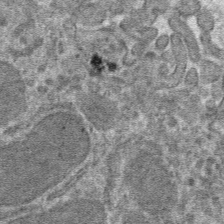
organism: Mouse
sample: Mouse hepatocytes